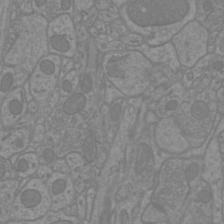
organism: Mouse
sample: Cortical neurons